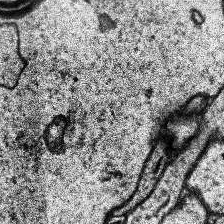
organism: Human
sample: Temporal Lobe